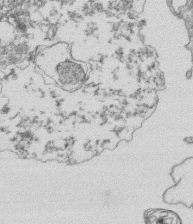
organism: Human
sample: HeLa cell HIV synapse